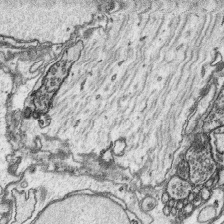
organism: Platynereis dumerilii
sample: Parapodia